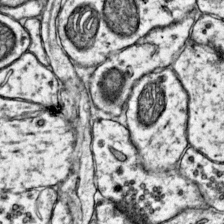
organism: Mouse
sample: Primary visual cortex